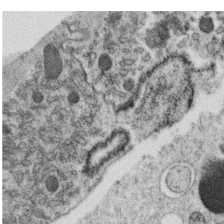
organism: C. elegans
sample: C. elegans oocyte; sperm cells